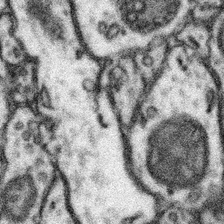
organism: Mouse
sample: Somatosensory cortex neuropil